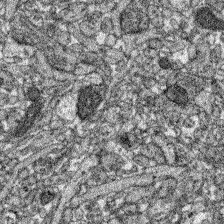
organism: Zebrafish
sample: Larval olfactory bulb